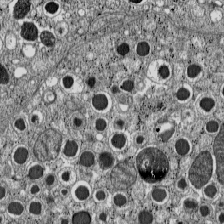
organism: C57BL Mouse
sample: Pancreatic islet